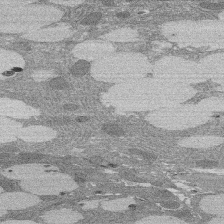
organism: Rat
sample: Salivary granule